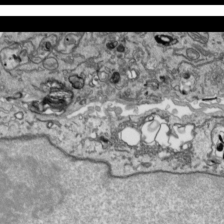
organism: Human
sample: Mitochondria in HCT116 cells